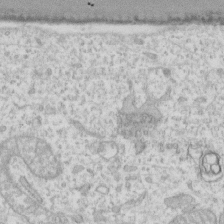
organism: Human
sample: Fibroblast cells